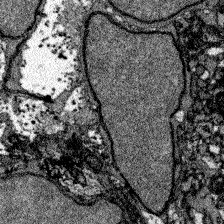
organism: Zebrafish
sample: Larval olfactory bulb